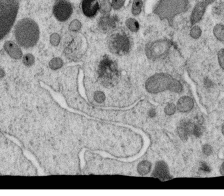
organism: C. elegans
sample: C. elegans oocyte; sperm cells